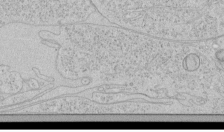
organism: Human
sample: Mitochondria in HCT116 cells